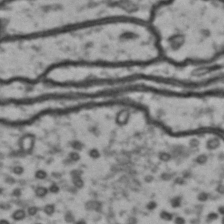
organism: Drosophila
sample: Brain